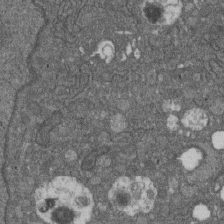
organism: Drosophila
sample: Nephrocyte